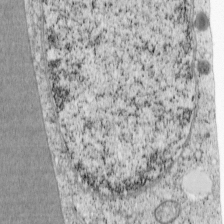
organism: African green monkey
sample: COS-7 cells